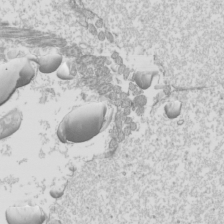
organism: Mouse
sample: Cilia; mouse epididymis